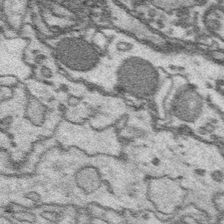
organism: Platynereis dumerilii